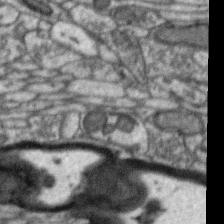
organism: Zebra finch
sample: Brain